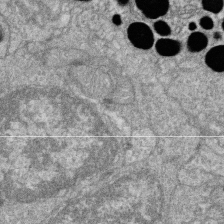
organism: Zebrafish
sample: Cilia; retinal pigment epithelium